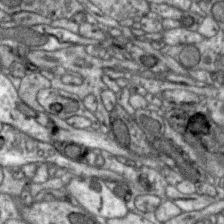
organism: Zebra finch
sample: Brain